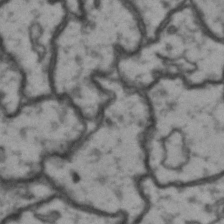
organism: Drosophila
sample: Brain